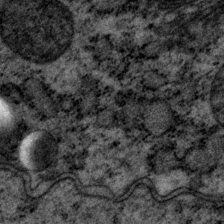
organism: P. pacificus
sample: Pharynx